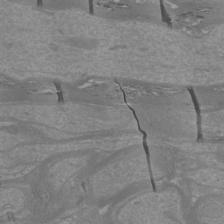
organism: Mouse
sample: Cortical neurons